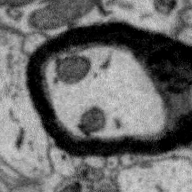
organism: Zebra finch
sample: Brain